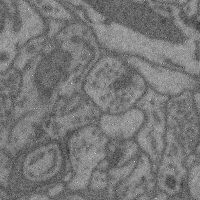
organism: Mouse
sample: Cerebral cortex